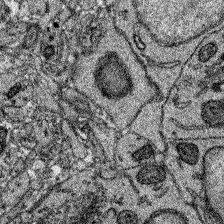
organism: Zebrafish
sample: Larval olfactory bulb